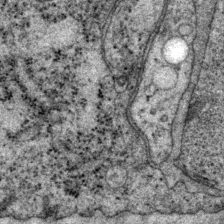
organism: P. pacificus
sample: Pharynx